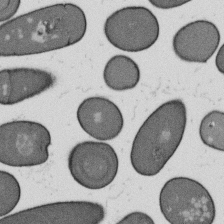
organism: B. subtilis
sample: Bacterial spore